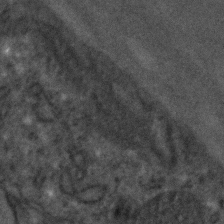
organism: C. elegans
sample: C. elegans embryo